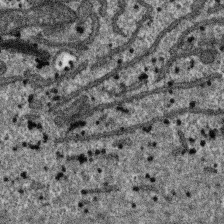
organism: Human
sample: Lung epithelial cells infected with SARS-CoV-2